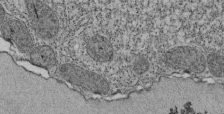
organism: Tetrahymena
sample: Cilia in tetrahymena